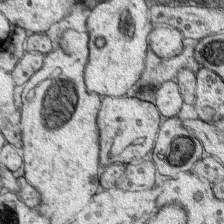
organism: Mouse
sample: Primary visual cortex